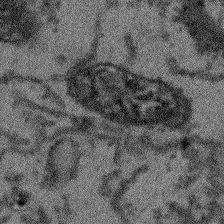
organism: Arabidopsis thaliana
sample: Root tip